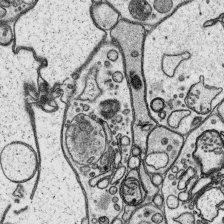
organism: Platynereis dumerilii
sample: Parapodia